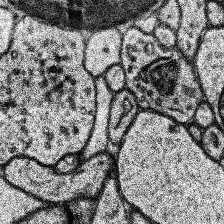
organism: Human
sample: Temporal Lobe